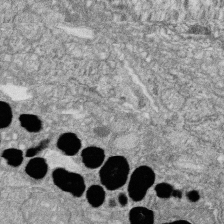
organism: Zebrafish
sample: Cilia; retinal pigment epithelium